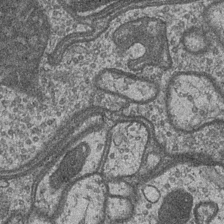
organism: Drosophila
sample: Optic medulla